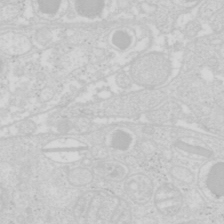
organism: Mouse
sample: Pancreas